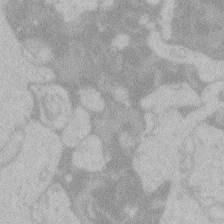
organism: Zebrafish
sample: Macrophage infected with Toxoplasma gondii